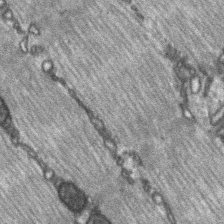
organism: C57BL Mouse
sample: Soleus